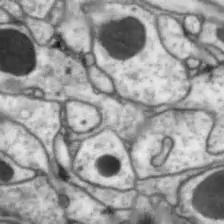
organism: Drosophila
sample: Optic lobe